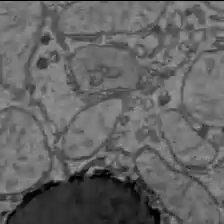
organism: C57BL Mouse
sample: Liver